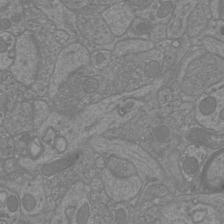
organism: Mouse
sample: Cortical neurons